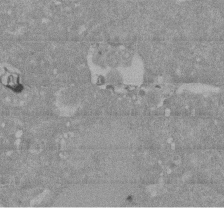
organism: Mouse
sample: ED-1 cell nuclei; centrioles